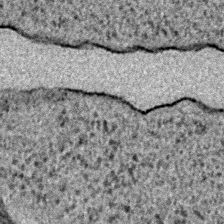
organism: E. coli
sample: E. Coli Bacteria